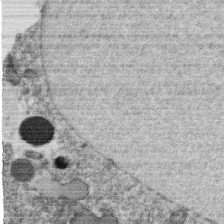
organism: C. elegans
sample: C. elegans oocyte; sperm cells